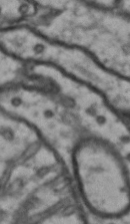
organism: Drosophila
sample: Brain